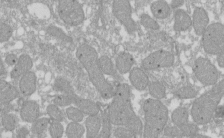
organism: Xenopus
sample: Cilia; centrioles in frog embryo cells